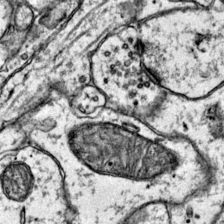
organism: Mouse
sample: Primary visual cortex